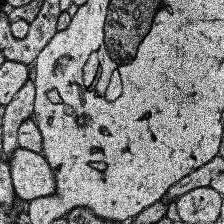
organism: Human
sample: Temporal Lobe